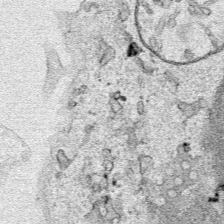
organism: Human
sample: Mitochondria in HCT116 cells